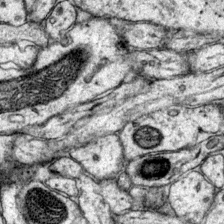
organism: Mouse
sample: Primary visual cortex